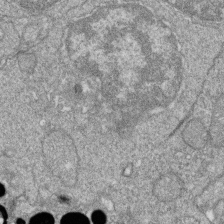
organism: Zebrafish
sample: Cilia; retinal pigment epithelium